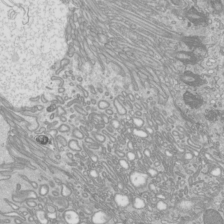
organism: Mouse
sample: Cilia; mouse epididymis